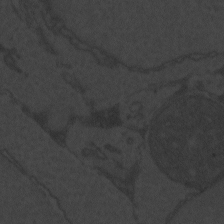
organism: Zebrafish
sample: Macrophage infected with Toxoplasma gondii